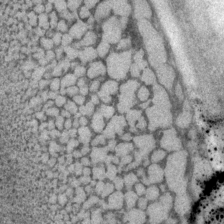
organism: P. pacificus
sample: Pharynx